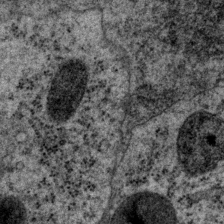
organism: P. pacificus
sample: Pharynx